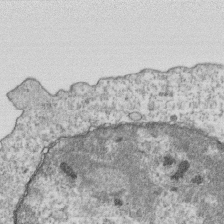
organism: Mouse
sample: Activated OT-1 CD8+ T cells